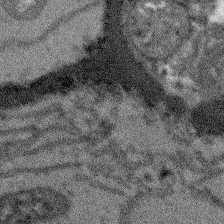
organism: Arabidopsis thaliana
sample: Root tip